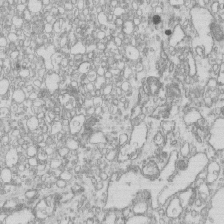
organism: Mouse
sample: Macrophages